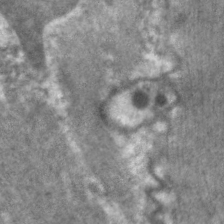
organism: C. elegans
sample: Pharynx